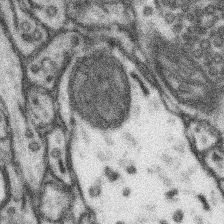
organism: Mouse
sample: Somatosensory cortex neuropil